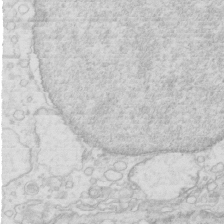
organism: Mouse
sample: Multiciliated cells